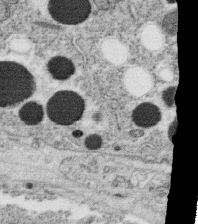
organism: C. elegans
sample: C. elegans oocyte; sperm cells